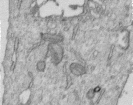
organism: Human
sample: Centriole in RPE cells